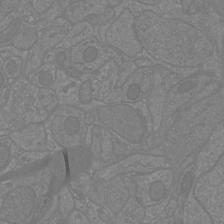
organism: Mouse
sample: Cortical neurons